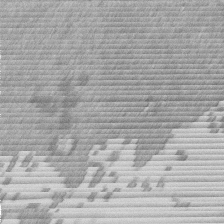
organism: Mouse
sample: Dividing mouse embryo 1 cell stage